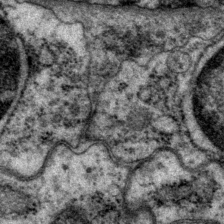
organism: P. pacificus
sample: Pharynx